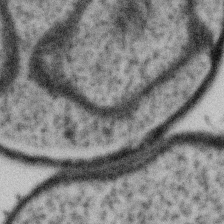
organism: Gemmata obscuriglobus